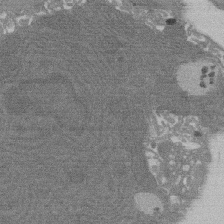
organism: Rat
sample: Salivary granule